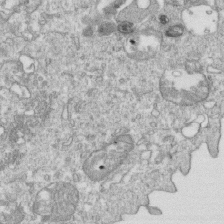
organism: Mouse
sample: Activated OT-1 CD8+ T cells